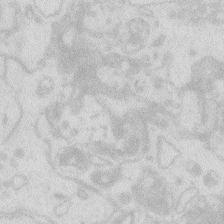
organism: Zebrafish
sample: Macrophage